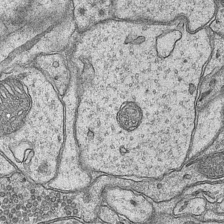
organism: Mouse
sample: CA1 Hippocampus